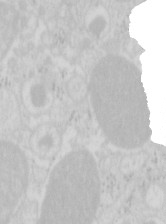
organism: Mouse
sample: Pancreas